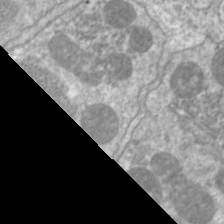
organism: C. elegans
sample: Pharynx